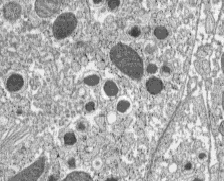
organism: C57BL Mouse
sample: Pancreatic islet